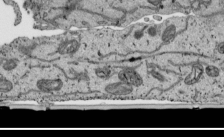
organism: Human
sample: Mitochondria in HCT116 cells